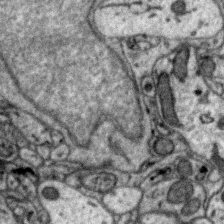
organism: Zebra finch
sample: Brain